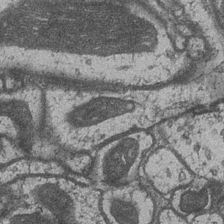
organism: Drosophila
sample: Optic medulla